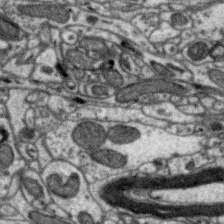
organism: Zebra finch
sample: Brain